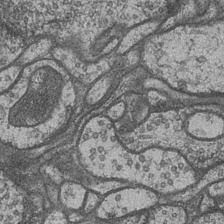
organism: Drosophila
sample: Optic medulla